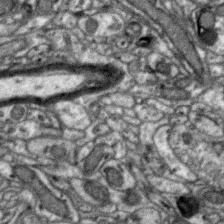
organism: Zebra finch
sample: Brain